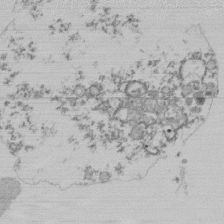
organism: Mouse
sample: Activated Pmel transgenic CD8+ T Cells